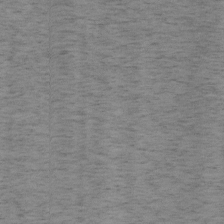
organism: Mouse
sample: OT-I killer T cells with ID8 ovarian cancer cells